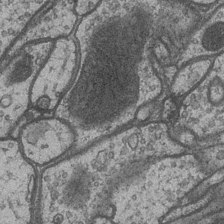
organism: Drosophila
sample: Optic medulla